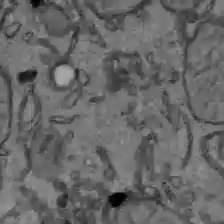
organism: C57BL Mouse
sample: Liver